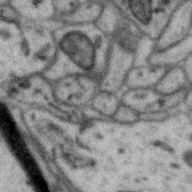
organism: Zebra finch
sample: Brain